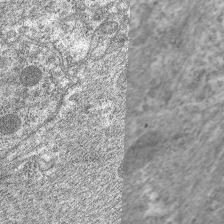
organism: C. elegans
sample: Pharynx